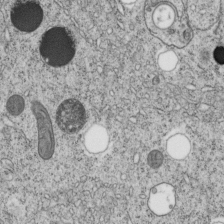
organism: C. elegans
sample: C. elegans embryo early stage